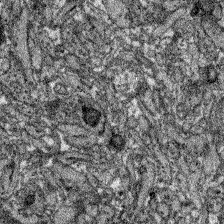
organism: Zebrafish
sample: Larval olfactory bulb